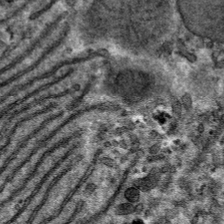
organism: Mouse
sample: Mouse hepatocytes